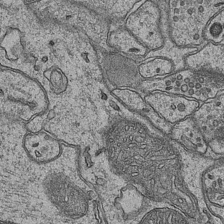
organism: Mouse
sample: CA1 Hippocampus